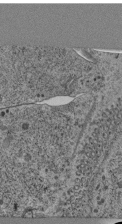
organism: C. elegans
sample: C. elegans pharynx